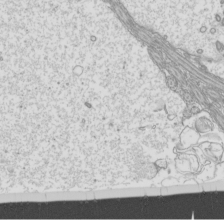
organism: Mouse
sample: Cilia; mouse epididymis